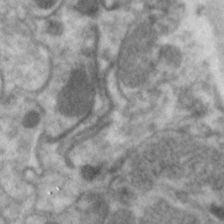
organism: C. elegans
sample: Pharynx